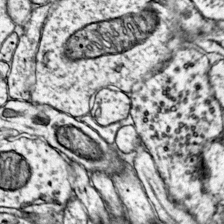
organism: Mouse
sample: Primary visual cortex